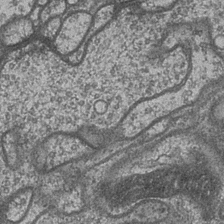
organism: Drosophila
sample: Optic medulla